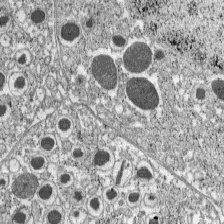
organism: C57BL Mouse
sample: Pancreatic islet